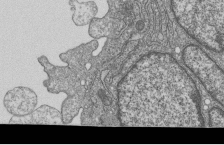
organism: Human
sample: MDA-MB-231 cells